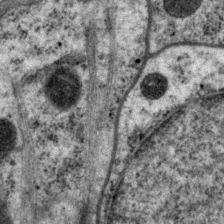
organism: P. pacificus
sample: Pharynx